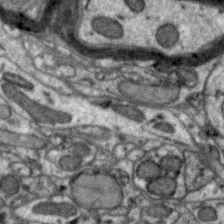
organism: Zebra finch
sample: Brain